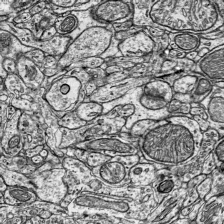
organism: Mouse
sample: Visual Cortex